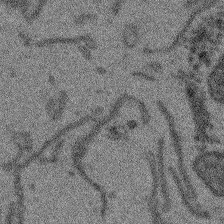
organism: Arabidopsis thaliana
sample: Root tip